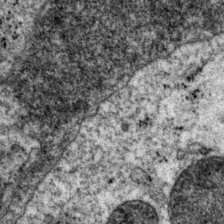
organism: P. pacificus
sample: Pharynx